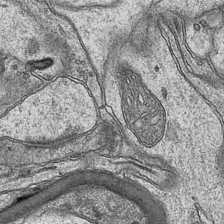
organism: Mouse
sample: CA1 Hippocampus